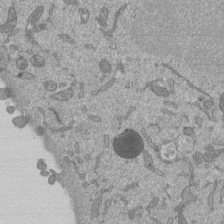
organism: Mouse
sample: ED-1 cell nuclei; centrioles